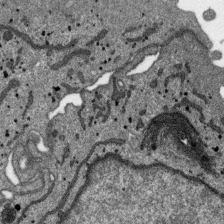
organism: Human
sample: Lung epithelial cells, uninfected (mock) control